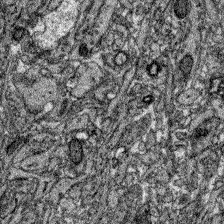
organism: Zebrafish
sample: Larval olfactory bulb